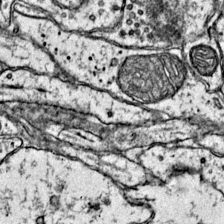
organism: Mouse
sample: Primary visual cortex